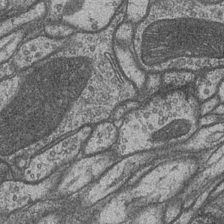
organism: Drosophila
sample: Optic medulla